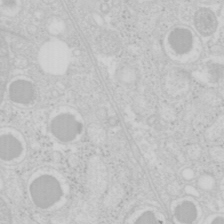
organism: Mouse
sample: Pancreas